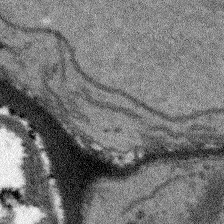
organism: Arabidopsis thaliana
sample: Root tip